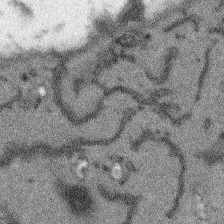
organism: Arabidopsis thaliana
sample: Root tip